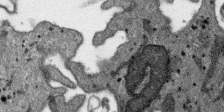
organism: Human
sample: Lung epithelial cells, uninfected (mock) control